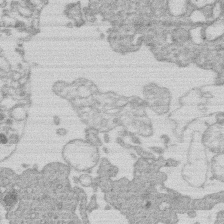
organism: Human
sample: Macrophage cells